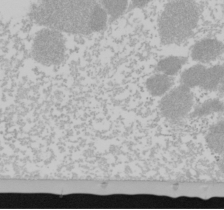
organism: Mouse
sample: Cancer cell death in ED-1 cells